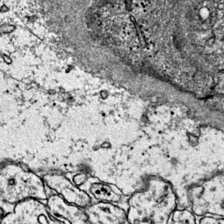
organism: Mouse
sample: Primary visual cortex